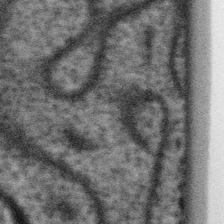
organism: Gemmata obscuriglobus